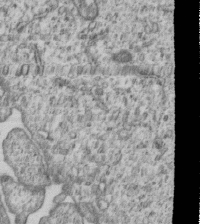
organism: Human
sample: MDA-MB-231 cells